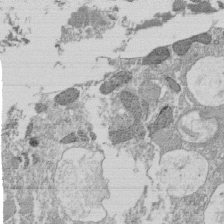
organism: Tetrahymena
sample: Cilia in tetrahymena